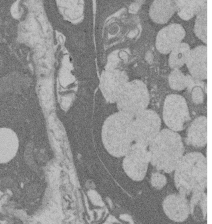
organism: Rat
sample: Salivary granule